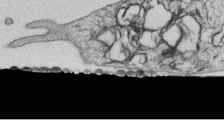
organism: Human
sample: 1205lu cells